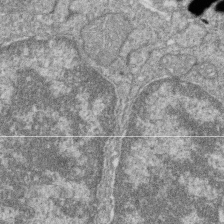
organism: Zebrafish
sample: Cilia; retinal pigment epithelium